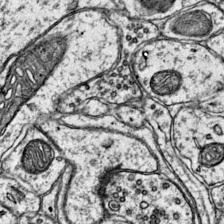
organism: Mouse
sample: Primary visual cortex